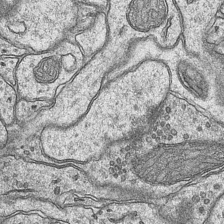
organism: Mouse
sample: CA1 Hippocampus